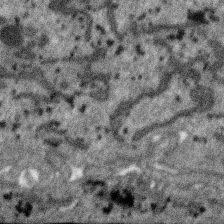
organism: Human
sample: Lung epithelial cells infected with SARS-CoV-2